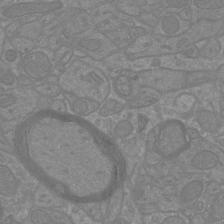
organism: Mouse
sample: Cortical neurons